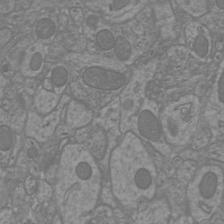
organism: Mouse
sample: Cortical neurons